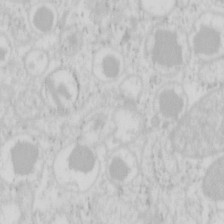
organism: Mouse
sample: Pancreas